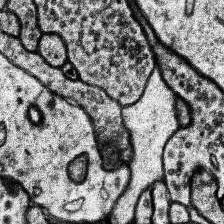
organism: Human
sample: Temporal Lobe